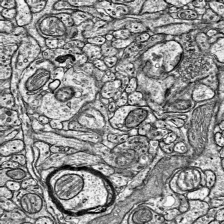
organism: Mouse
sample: Visual Cortex